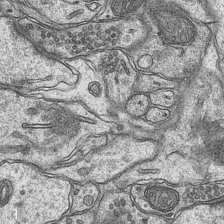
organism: Mouse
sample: CA1 Hippocampus